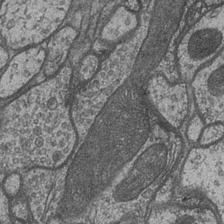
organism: Drosophila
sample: Optic medulla